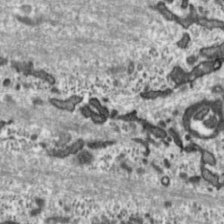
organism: Toxoplasma gondii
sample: Parasites in a vacuole inside a host cell